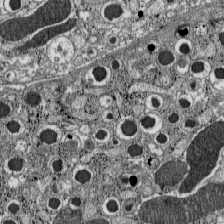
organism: C57BL Mouse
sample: Pancreatic islet